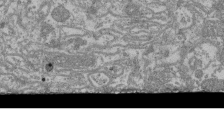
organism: Mouse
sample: Glomerulus